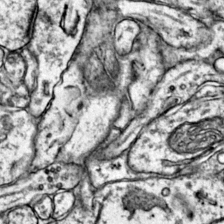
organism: Mouse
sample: Primary visual cortex